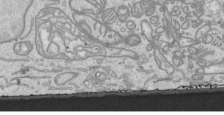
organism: Human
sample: Mitochondria in HCT116 cells